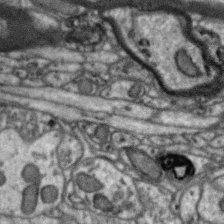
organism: Zebra finch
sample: Brain